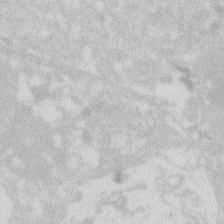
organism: Zebrafish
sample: Macrophage